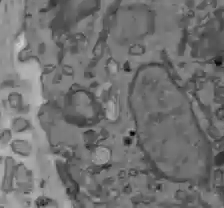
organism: C57BL Mouse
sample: Liver